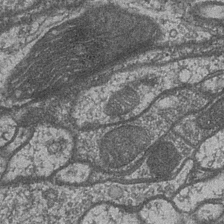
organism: Drosophila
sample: Optic medulla